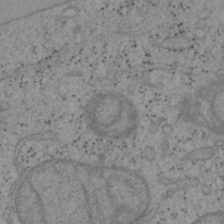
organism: Human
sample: HeLa cells